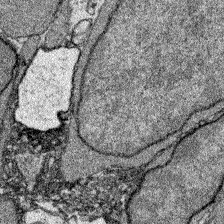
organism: Zebrafish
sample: Larval olfactory bulb